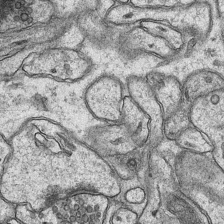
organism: Mouse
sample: CA1 Hippocampus